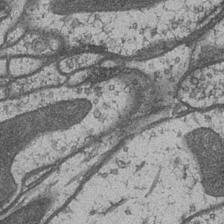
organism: Drosophila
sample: Optic medulla